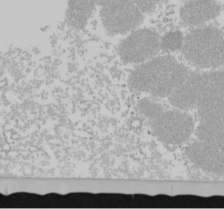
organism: Mouse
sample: Cancer cell death in ED-1 cells